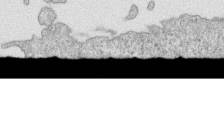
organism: Human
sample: HeLa cell HIV synapse